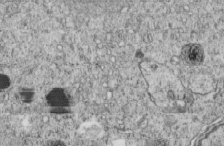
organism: C. elegans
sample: C. elegans embryo early stage